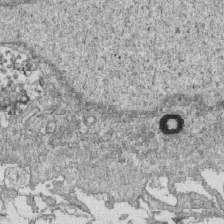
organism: Human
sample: HeLa cell HIV synapse